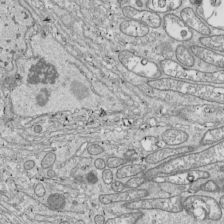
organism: Drosophila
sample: Cell division; meiosis; drosophila spermatocytes